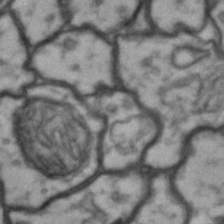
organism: Drosophila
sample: Brain